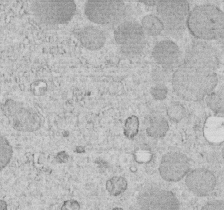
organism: C. elegans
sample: C. elegans embryo early stage